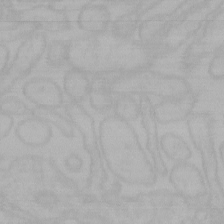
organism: Mouse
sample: Choroid plexus